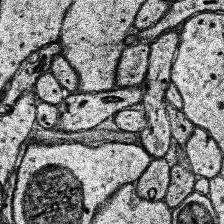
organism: Human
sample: Temporal Lobe